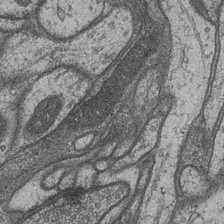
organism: Drosophila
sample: Optic medulla